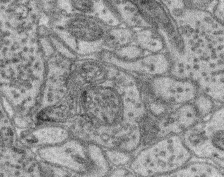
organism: Mouse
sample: Retina